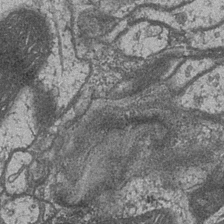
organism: Drosophila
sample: Optic medulla